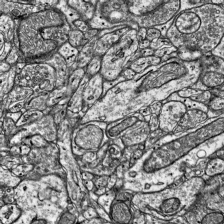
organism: Mouse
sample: Visual Cortex